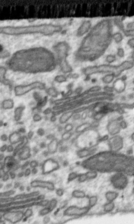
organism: Toxoplasma gondii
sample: Parasites in a vacuole inside a host cell